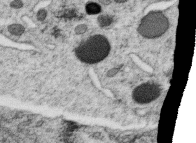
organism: C. elegans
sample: C. elegans oocyte; sperm cells